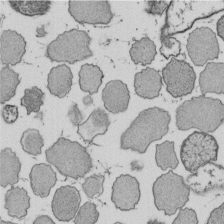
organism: E. coli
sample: Bacterial nucleoid